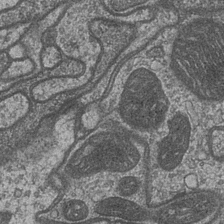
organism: Drosophila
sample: Optic medulla